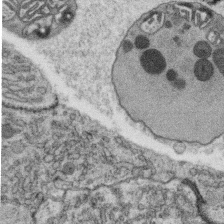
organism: C. elegans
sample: C. elegans oocyte; sperm cells